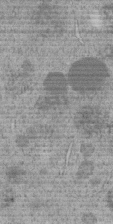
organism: C. elegans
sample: C. elegans embryo early stage